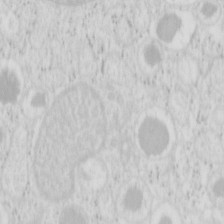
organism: Mouse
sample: Pancreas